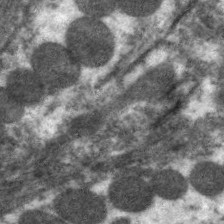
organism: C. elegans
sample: Pharynx